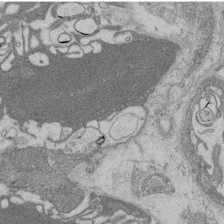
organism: Rat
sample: Salivary granule